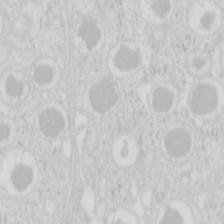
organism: Mouse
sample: Pancreas